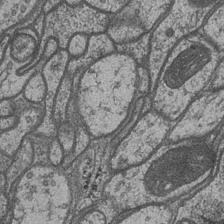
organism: Drosophila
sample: Optic medulla